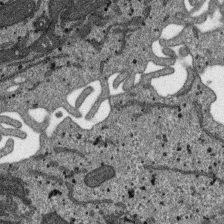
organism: Human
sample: Lung epithelial cells infected with SARS-CoV-2